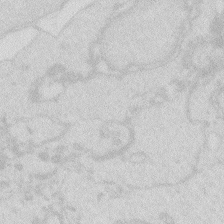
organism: Zebrafish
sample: Macrophage